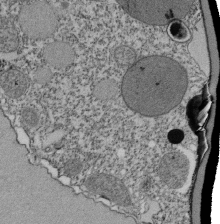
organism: Tetrahymena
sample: Cilia in tetrahymena